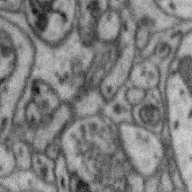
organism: Zebra finch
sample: Brain